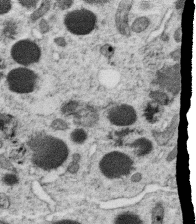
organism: C. elegans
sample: C. elegans oocyte; sperm cells